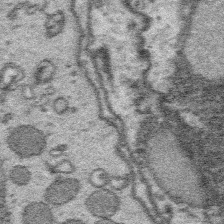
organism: Platynereis dumerilii